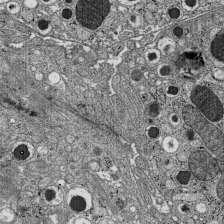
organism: C57BL Mouse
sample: Pancreatic islet